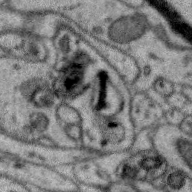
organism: Zebra finch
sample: Brain